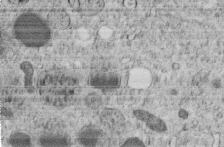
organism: C. elegans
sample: C. elegans embryo early stage